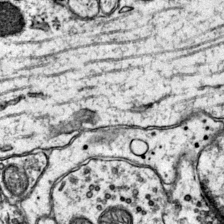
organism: Mouse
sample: Primary visual cortex